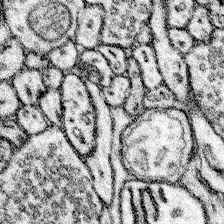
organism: Mouse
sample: Somatosensory cortex neuropil